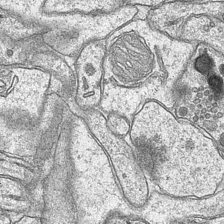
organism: Mouse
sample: CA1 Hippocampus